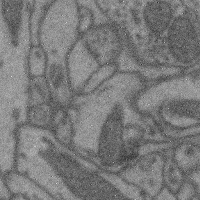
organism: Mouse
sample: Cerebral cortex